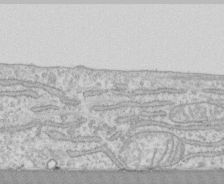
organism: Human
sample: CRL-1474